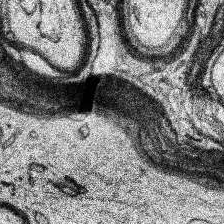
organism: Human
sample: Temporal Lobe